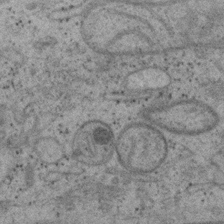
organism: Human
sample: HeLa cells